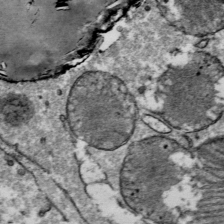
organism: Mouse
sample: Mouse Salivary gland